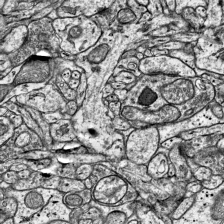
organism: Mouse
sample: Visual Cortex